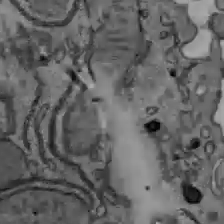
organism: C57BL Mouse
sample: Liver